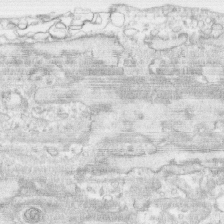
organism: Human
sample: CRL-1474